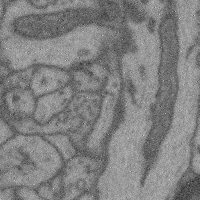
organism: Mouse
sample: Cerebral cortex